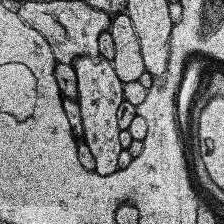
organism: Human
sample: Temporal Lobe